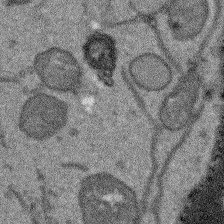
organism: Arabidopsis thaliana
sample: Root tip